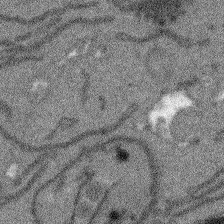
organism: Arabidopsis thaliana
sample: Root tip